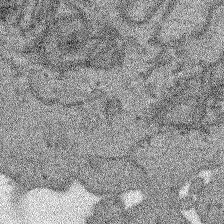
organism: Human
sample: HeLa cells